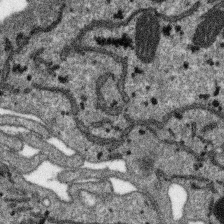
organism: Human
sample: Lung epithelial cells infected with SARS-CoV-2